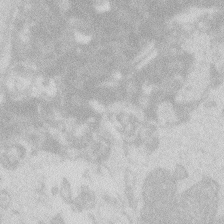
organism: Zebrafish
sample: Macrophage